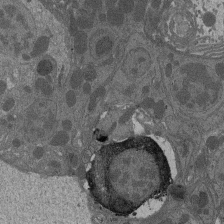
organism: Drosophila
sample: Antenna